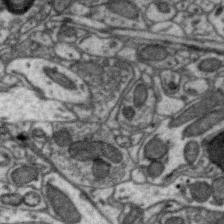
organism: Zebra finch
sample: Brain